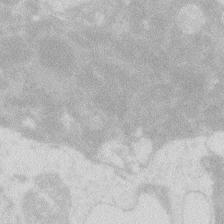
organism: Zebrafish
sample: Macrophage